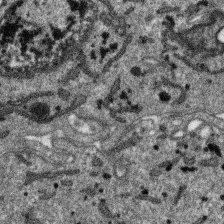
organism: Human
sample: Lung epithelial cells infected with SARS-CoV-2